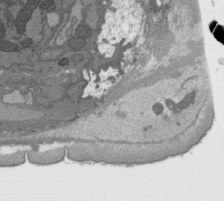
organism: C. elegans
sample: AFD neurons C. elegans